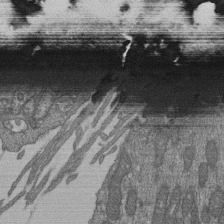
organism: Human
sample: Retinal organoid Rod and Cone cells